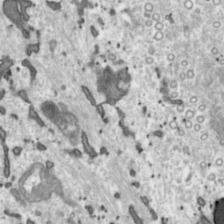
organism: Toxoplasma gondii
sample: Parasites in a vacuole inside a host cell